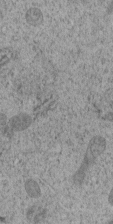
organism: C. elegans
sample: C. elegans embryo early stage